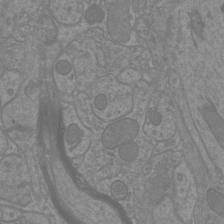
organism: Mouse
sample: Cortical neurons